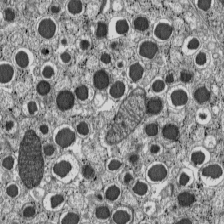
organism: C57BL Mouse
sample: Pancreatic islet